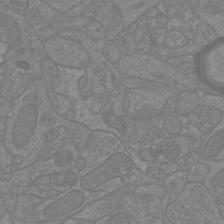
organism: Mouse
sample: Cortical neurons